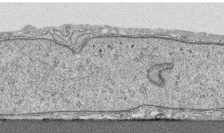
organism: Human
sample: CRL-1474